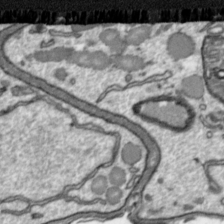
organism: Toxoplasma gondii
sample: Parasites in a vacuole inside a host cell